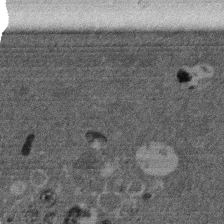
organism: Mouse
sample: Dividing mouse embryo 1 cell stage